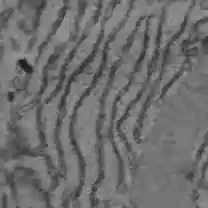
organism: C57BL Mouse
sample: Liver